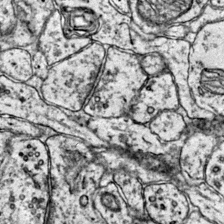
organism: Mouse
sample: Primary visual cortex